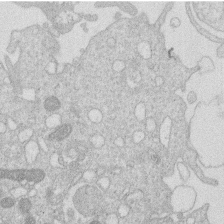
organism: Human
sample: Macrophage cells